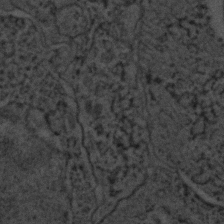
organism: C. elegans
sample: C. elegans embryo